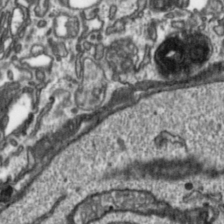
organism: Toxoplasma gondii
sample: Parasites in a vacuole inside a host cell